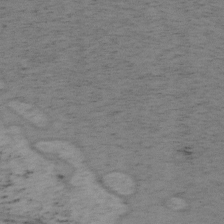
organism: Mouse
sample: OT-I killer T cells with ID8 ovarian cancer cells